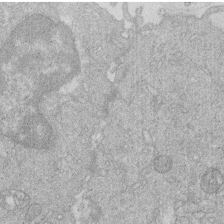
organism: Human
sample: Macrophage cells